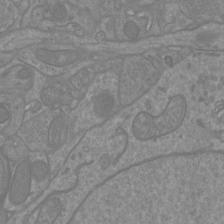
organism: Mouse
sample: Cortical neurons